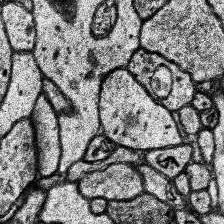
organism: Human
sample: Temporal Lobe